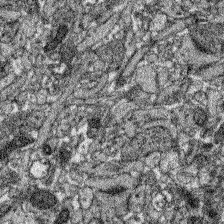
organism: Zebrafish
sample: Larval olfactory bulb